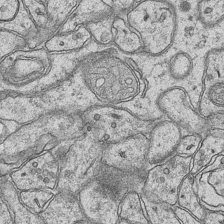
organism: Mouse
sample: CA1 Hippocampus